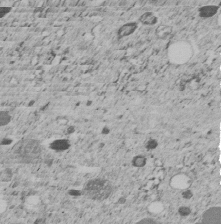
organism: C. elegans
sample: C. elegans embryo early stage